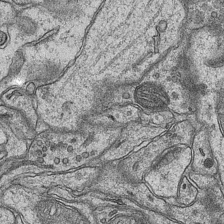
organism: Mouse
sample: CA1 Hippocampus